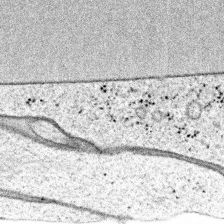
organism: Human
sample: HeLa cells